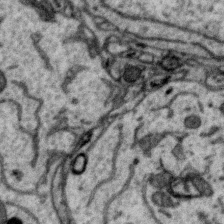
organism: Zebra finch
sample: Brain